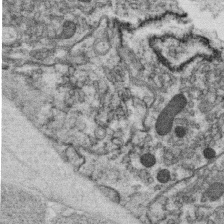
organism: C. elegans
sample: C. elegans oocyte; sperm cells